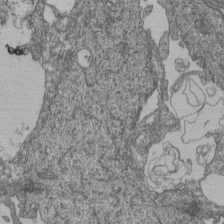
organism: Human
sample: Retinal organoid Rod and Cone cells